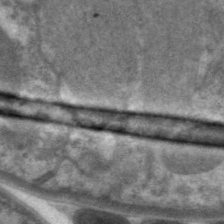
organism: C. elegans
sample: Pharynx